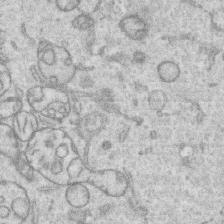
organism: Human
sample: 1205lu cells